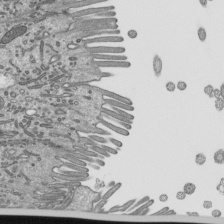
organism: Mouse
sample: Mouse epididymis efferent ductule cilia